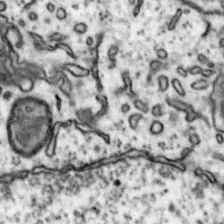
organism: Mouse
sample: Nucleus accumbens